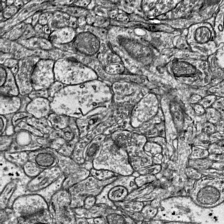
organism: Mouse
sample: Visual Cortex